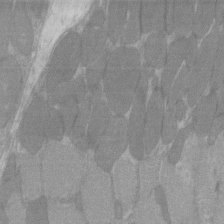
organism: C57BL Mouse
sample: Tibialis anterior muscle cell